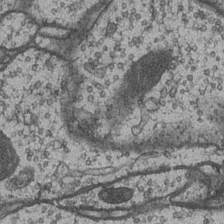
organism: Drosophila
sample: Optic medulla